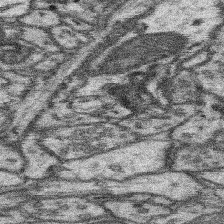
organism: Mouse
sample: Somatosensory cortex neuropil